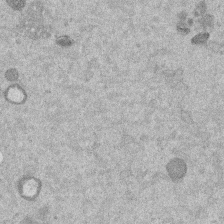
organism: Mouse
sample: Dividing mouse embryo 1 cell stage